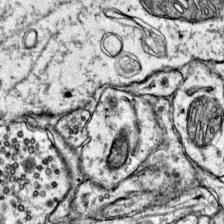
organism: Mouse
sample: Primary visual cortex